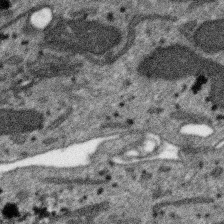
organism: Human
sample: Lung epithelial cells infected with SARS-CoV-2